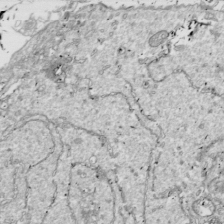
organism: Drosophila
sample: Cell division; meiosis; drosophila spermatocytes